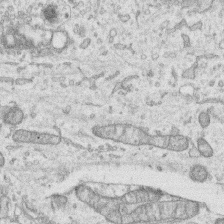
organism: Human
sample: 1205lu cells